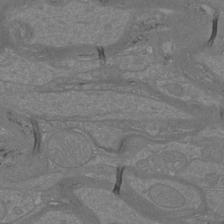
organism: Mouse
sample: Cortical neurons